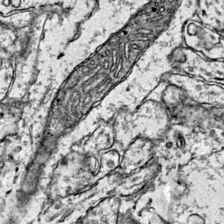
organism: Mouse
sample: Primary visual cortex